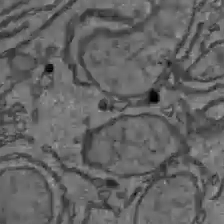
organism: C57BL Mouse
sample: Liver